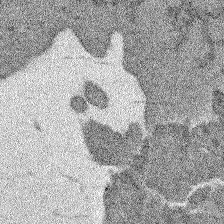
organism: Human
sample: HeLa cells